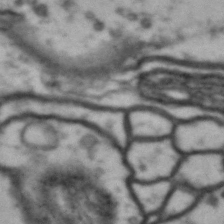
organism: Drosophila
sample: Brain